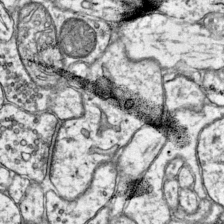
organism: Mouse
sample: Primary visual cortex